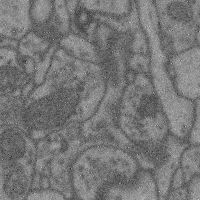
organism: Mouse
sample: Cerebral cortex